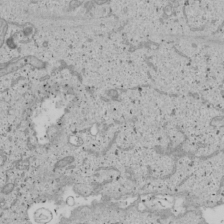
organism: Human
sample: Mitochondria in U2OS cells